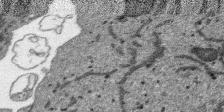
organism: Human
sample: Lung epithelial cells infected with SARS-CoV-2